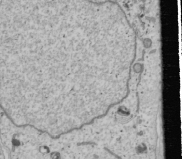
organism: Human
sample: Mitochondria in U2OS cells